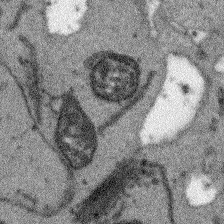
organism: Arabidopsis thaliana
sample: Root tip